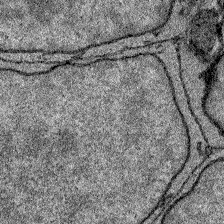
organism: Zebrafish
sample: Larval olfactory bulb